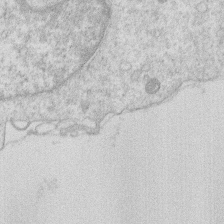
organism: Human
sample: Macrophage cells